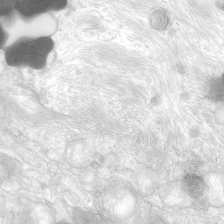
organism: Human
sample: Neocortex